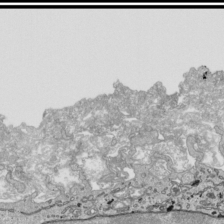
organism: Human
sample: Mitochondria in HCT116 cells